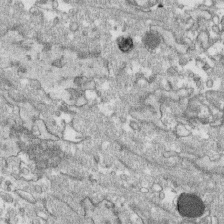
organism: Human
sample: CRL-1474